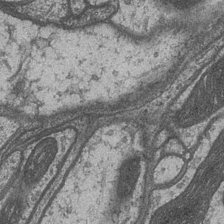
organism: Drosophila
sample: Optic medulla